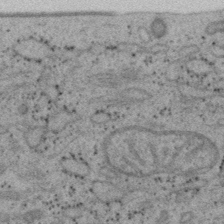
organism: Human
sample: HeLa cells